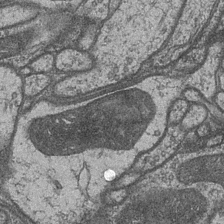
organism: Drosophila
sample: Optic medulla